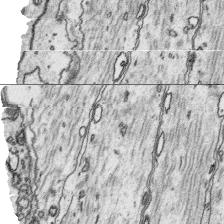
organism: Platynereis dumerilii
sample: Parapodia